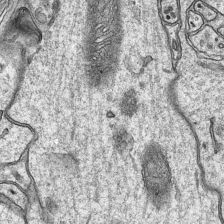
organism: Mouse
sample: CA1 Hippocampus